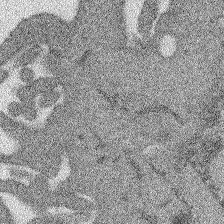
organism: Human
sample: HeLa cells